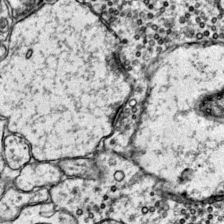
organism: Mouse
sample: Primary visual cortex